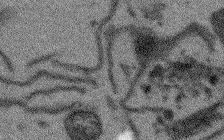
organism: Arabidopsis thaliana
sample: Root tip